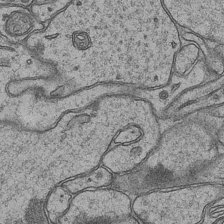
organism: Mouse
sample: CA1 Hippocampus